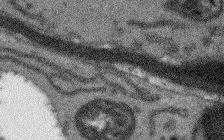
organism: Arabidopsis thaliana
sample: Root tip